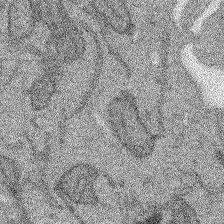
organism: Human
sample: HeLa cells